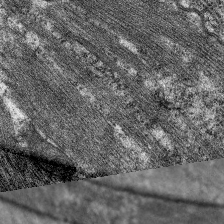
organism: C. elegans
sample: Pharynx